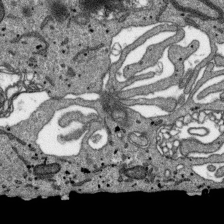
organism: Human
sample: Lung epithelial cells, uninfected (mock) control